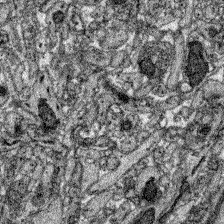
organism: Zebrafish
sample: Larval olfactory bulb